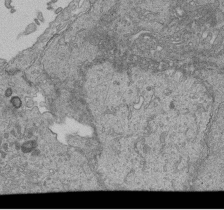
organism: Human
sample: Retinal organoid Rod and Cone cells